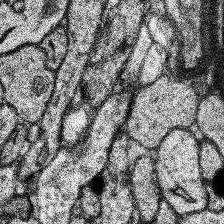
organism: Human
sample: Temporal Lobe